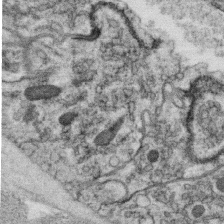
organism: C. elegans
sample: C. elegans oocyte; sperm cells